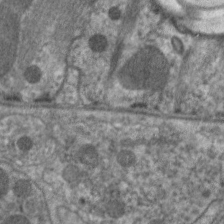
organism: C. elegans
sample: Pharynx